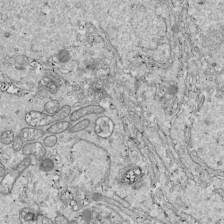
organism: Drosophila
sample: Cell division; meiosis; drosophila spermatocytes